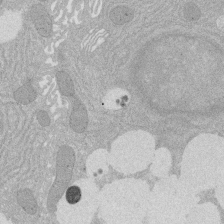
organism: Rat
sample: Salivary granule